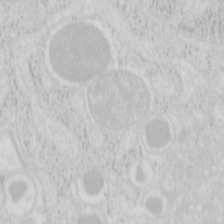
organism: Mouse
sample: Pancreas